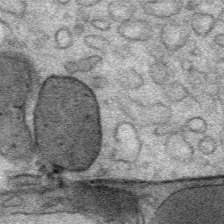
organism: Mouse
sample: Mouse Salivary gland